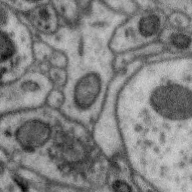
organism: Zebra finch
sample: Brain